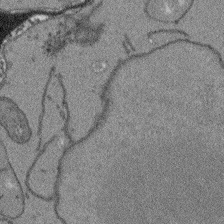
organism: Arabidopsis thaliana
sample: Root tip